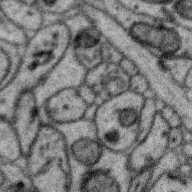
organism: Zebra finch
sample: Brain